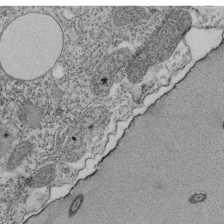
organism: Tetrahymena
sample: Cilia in tetrahymena